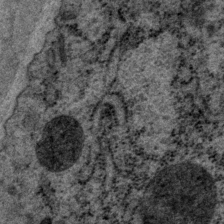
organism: P. pacificus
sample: Pharynx